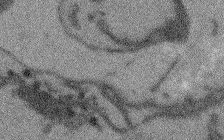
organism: Arabidopsis thaliana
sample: Root tip